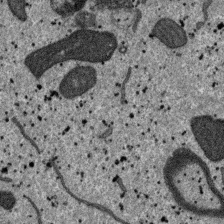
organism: Human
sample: Lung epithelial cells, uninfected (mock) control